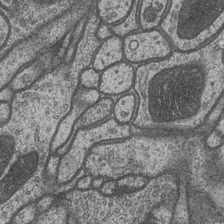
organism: Drosophila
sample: Optic medulla